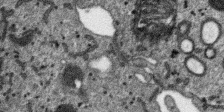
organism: Human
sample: Lung epithelial cells infected with SARS-CoV-2